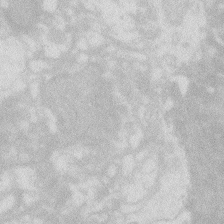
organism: Zebrafish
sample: Macrophage